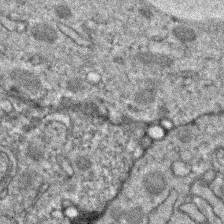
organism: Zebrafish